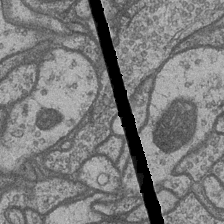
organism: Drosophila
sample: Optic medulla